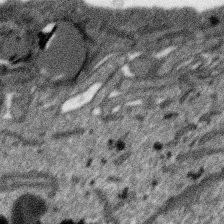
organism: Human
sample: Lung epithelial cells infected with SARS-CoV-2